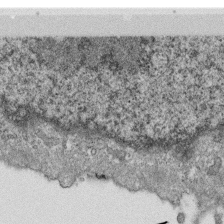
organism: African green monkey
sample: Vero E6 cells infected with SARS-CoV-2